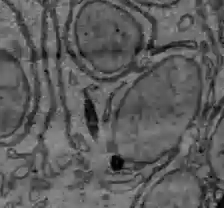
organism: C57BL Mouse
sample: Liver